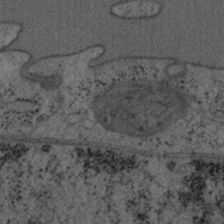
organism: Human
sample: HeLa cells